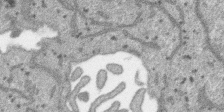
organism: Human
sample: Lung epithelial cells infected with SARS-CoV-2